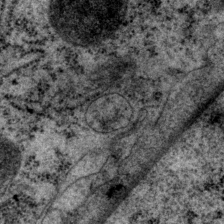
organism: P. pacificus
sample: Pharynx